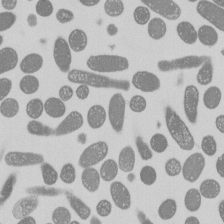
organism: E. coli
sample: Bacterial nucleoid